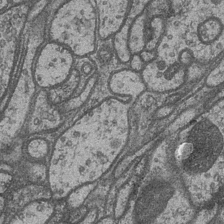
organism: Drosophila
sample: Optic medulla